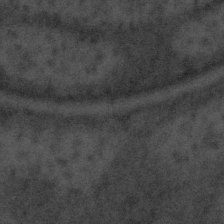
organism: Tuwongella immobilis